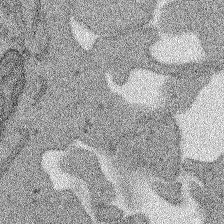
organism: Human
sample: HeLa cells